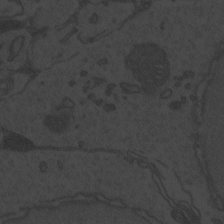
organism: Zebrafish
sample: Macrophage infected with Toxoplasma gondii